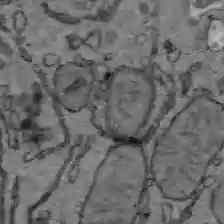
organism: C57BL Mouse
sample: Liver